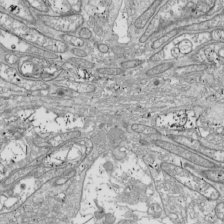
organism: Drosophila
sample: Cell division; meiosis; drosophila spermatocytes